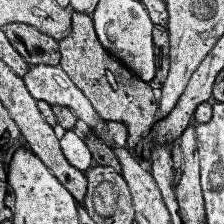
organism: Human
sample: Temporal Lobe